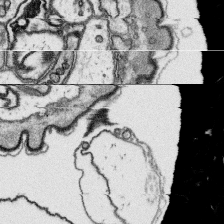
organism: Platynereis dumerilii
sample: Parapodia